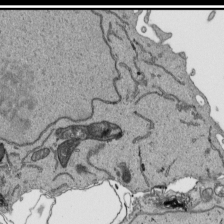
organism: Human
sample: Mitochondria in HCT116 cells